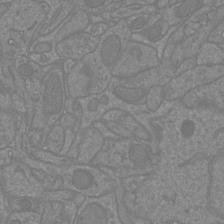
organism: Mouse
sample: Cortical neurons